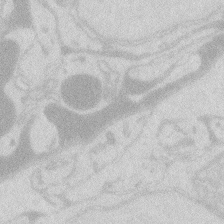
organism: Zebrafish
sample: Macrophage